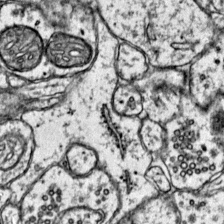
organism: Mouse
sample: Primary visual cortex